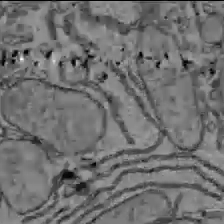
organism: C57BL Mouse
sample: Liver